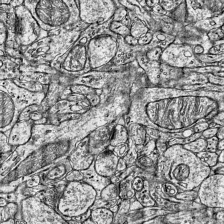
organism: Mouse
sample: Visual Cortex